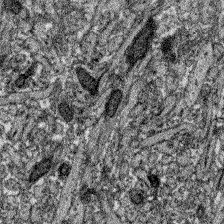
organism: Zebrafish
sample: Larval olfactory bulb